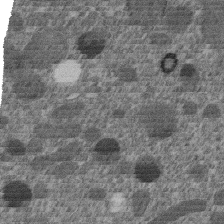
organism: C. elegans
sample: C. elegans embryo early stage